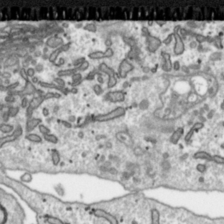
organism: Toxoplasma gondii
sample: Parasites in a vacuole inside a host cell